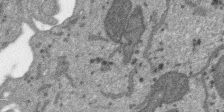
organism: Human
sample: Lung epithelial cells infected with SARS-CoV-2